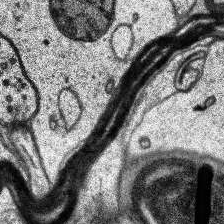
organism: Human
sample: Temporal Lobe